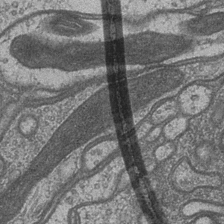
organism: Drosophila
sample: Optic medulla